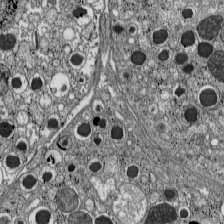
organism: C57BL Mouse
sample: Pancreatic islet